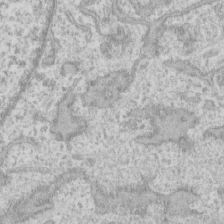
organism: Human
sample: CRL-1474